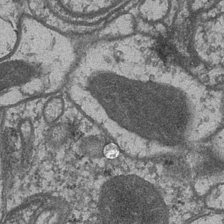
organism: Drosophila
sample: Optic medulla